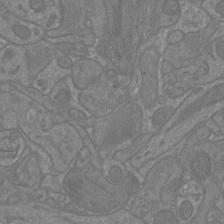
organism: Mouse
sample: Cortical neurons